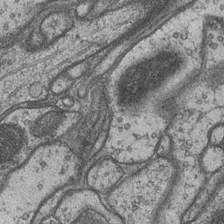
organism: Drosophila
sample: Optic medulla